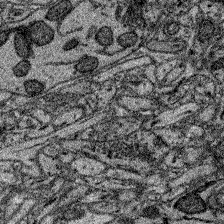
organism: Zebrafish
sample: Larval olfactory bulb